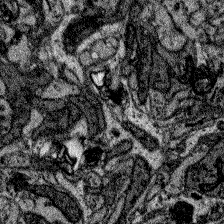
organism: Zebrafish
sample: Larval olfactory bulb